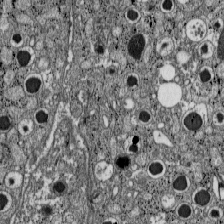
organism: C57BL Mouse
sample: Pancreatic islet